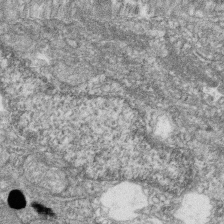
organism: Zebrafish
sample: Cilia; retinal pigment epithelium